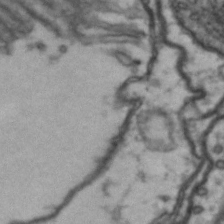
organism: Drosophila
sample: Brain